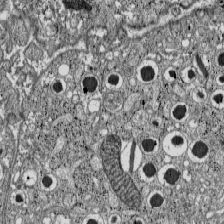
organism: C57BL Mouse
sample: Pancreatic islet